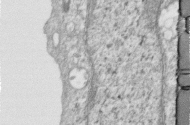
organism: Human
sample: Centriole in RPE cells